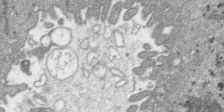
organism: Human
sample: Lung epithelial cells infected with SARS-CoV-2